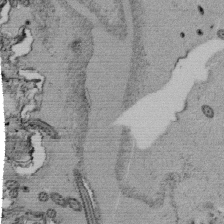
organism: Tetrahymena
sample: Cilia in tetrahymena